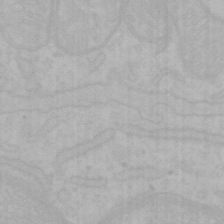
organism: Mouse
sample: Choroid plexus